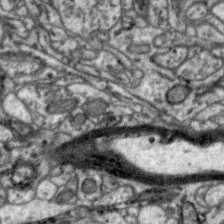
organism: Zebra finch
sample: Brain